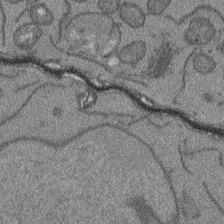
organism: Arabidopsis thaliana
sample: Root tip